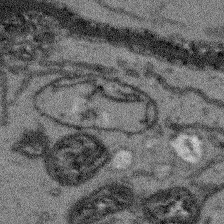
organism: Arabidopsis thaliana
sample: Root tip